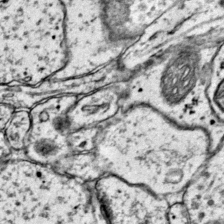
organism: Mouse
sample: Primary visual cortex